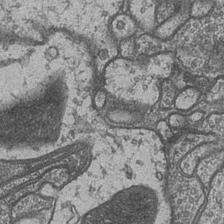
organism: Drosophila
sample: Optic medulla